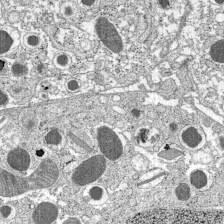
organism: C57BL Mouse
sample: Pancreatic islet